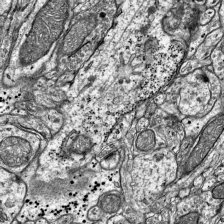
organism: Mouse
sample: Visual Cortex